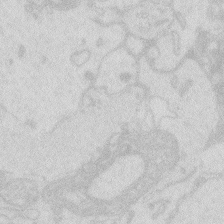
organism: Zebrafish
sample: Macrophage